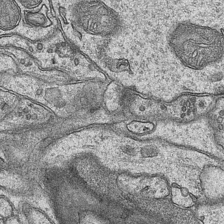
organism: Mouse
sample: CA1 Hippocampus